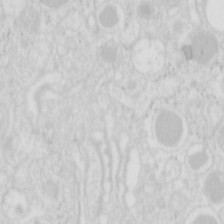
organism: Mouse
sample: Pancreas